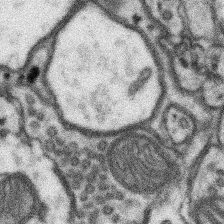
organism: Mouse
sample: Somatosensory cortex neuropil